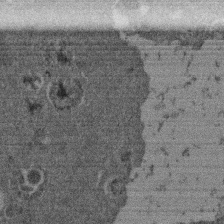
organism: Mouse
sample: Dividing mouse embryo 1 cell stage